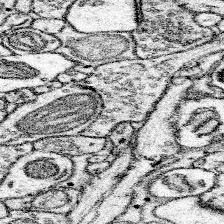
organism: Mouse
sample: Somatosensory cortex neuropil